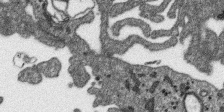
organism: Human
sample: Lung epithelial cells infected with SARS-CoV-2